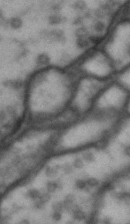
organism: Drosophila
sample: Brain